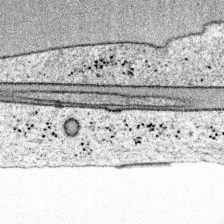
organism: Human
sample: HeLa cells